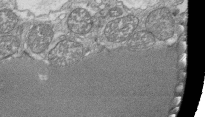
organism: Tetrahymena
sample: Cilia in tetrahymena